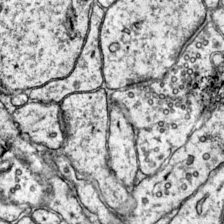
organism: Mouse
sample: Primary visual cortex